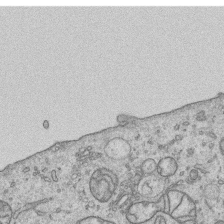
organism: Human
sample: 1205lu cells